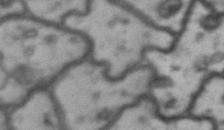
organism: Drosophila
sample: Brain